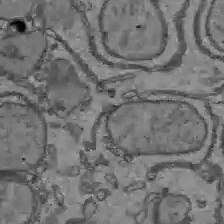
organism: C57BL Mouse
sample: Liver